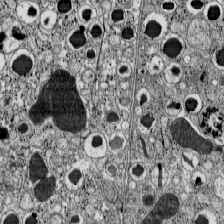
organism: C57BL Mouse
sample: Pancreatic islet